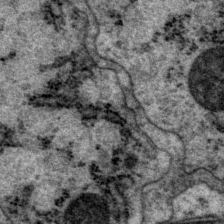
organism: P. pacificus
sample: Pharynx